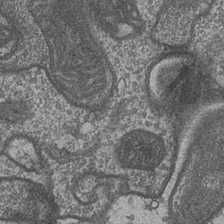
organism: Drosophila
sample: Optic medulla